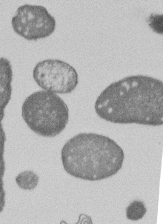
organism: E. coli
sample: Bacterial nucleoid